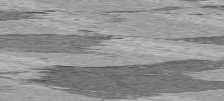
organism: C57BL Mouse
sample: Heart